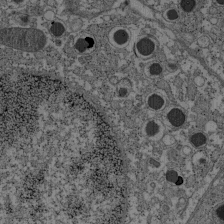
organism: C57BL Mouse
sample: Pancreatic islet